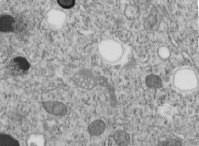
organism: C. elegans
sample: C. elegans embryo early stage